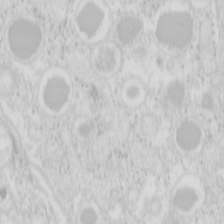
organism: Mouse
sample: Pancreas